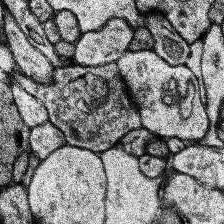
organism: Human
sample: Temporal Lobe